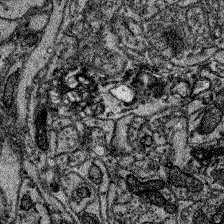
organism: Zebrafish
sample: Larval olfactory bulb